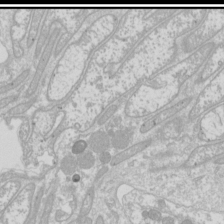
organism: Drosophila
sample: Cell division; meiosis; drosophila spermatocytes